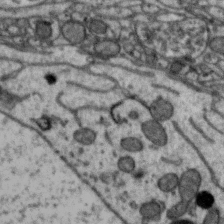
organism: Zebra finch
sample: Brain